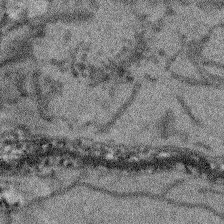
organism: Arabidopsis thaliana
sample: Root tip